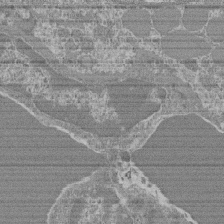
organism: Mouse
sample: Glomerulus